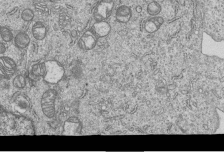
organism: Human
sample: MDA-MB-231 cells